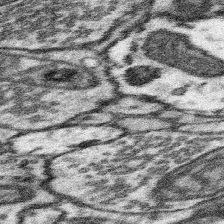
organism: Mouse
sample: Somatosensory cortex neuropil